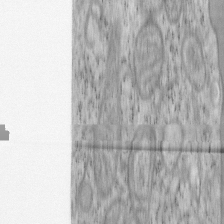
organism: Human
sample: HeLa cells